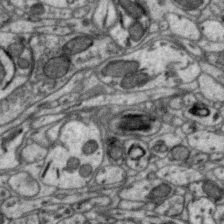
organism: Zebra finch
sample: Brain